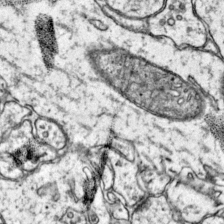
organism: Mouse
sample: Primary visual cortex